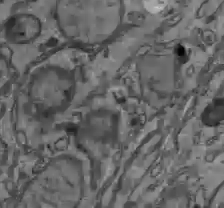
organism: C57BL Mouse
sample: Liver